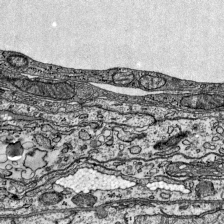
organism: Mouse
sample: Visual Cortex